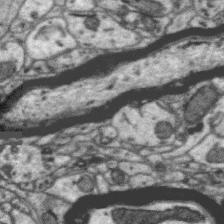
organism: Zebra finch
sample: Brain